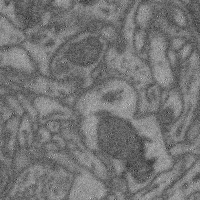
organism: Mouse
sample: Cerebral cortex